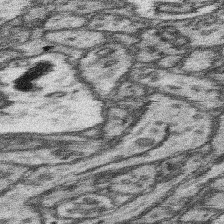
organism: Mouse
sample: Somatosensory cortex neuropil